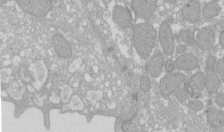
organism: Xenopus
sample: Cilia; centrioles in frog embryo cells